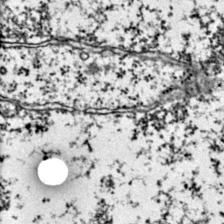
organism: Mouse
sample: Primary visual cortex